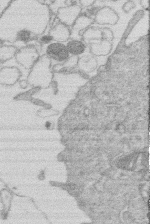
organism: Human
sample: Macrophage cells